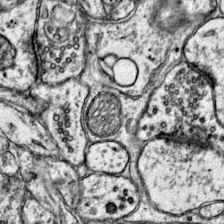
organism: Mouse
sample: Primary visual cortex